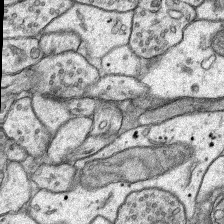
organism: Rat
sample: Hippocampus